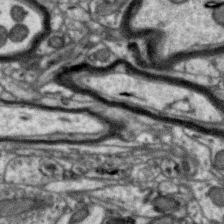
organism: Zebra finch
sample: Brain